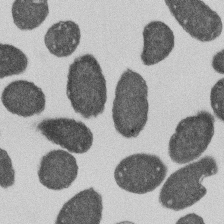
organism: E. coli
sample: Bacterial nucleoid